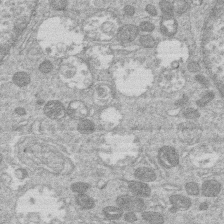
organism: Human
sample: Macrophage cells